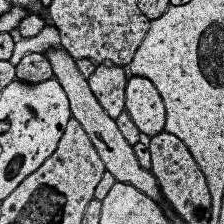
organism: Human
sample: Temporal Lobe